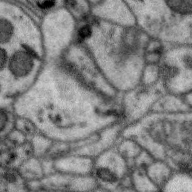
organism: Zebra finch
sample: Brain